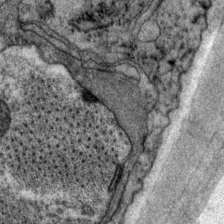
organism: P. pacificus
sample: Pharynx